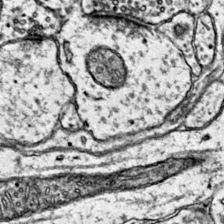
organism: Mouse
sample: Primary visual cortex